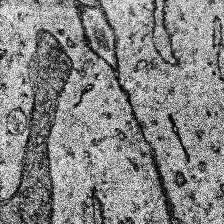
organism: Human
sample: Temporal Lobe